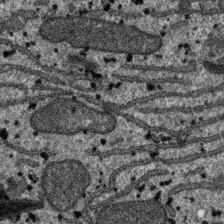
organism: Human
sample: Lung epithelial cells infected with SARS-CoV-2